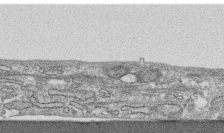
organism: Human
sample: CRL-1474